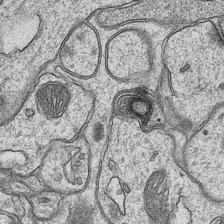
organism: Mouse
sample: CA1 Hippocampus